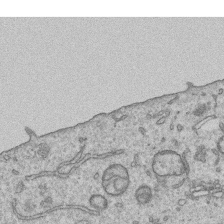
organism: Human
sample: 1205lu cells